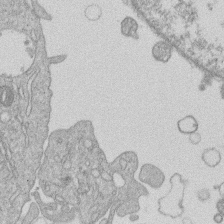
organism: Human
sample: Macrophage cells